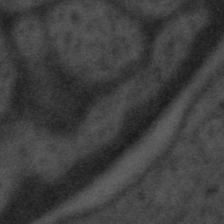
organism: Tuwongella immobilis